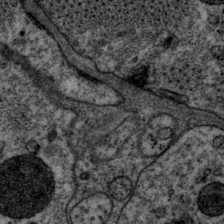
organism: P. pacificus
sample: Pharynx